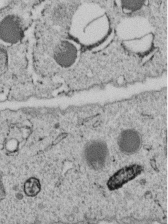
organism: C. elegans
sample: C. elegans embryo early stage